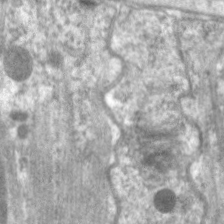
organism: C. elegans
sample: Pharynx